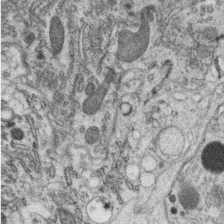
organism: C. elegans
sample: C. elegans oocyte; sperm cells